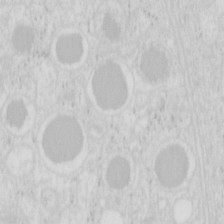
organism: Mouse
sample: Pancreas